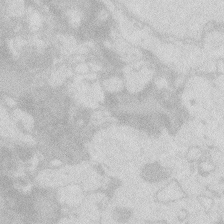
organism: Zebrafish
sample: Macrophage